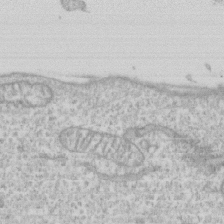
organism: Human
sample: CRL-1474